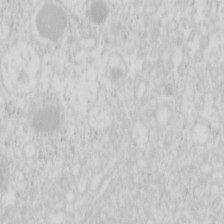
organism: Mouse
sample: Pancreas